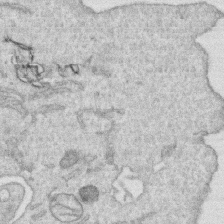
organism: Human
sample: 1205lu cells